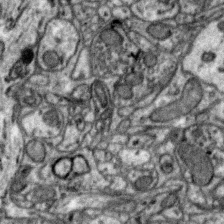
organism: Zebra finch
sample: Brain